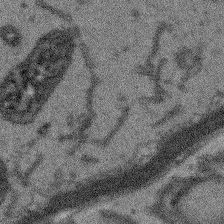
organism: Arabidopsis thaliana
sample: Root tip